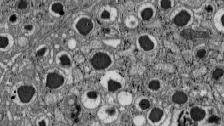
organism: C57BL Mouse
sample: Pancreatic islet